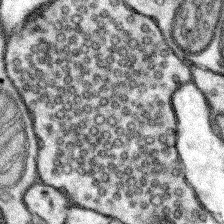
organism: Mouse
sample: Somatosensory cortex neuropil